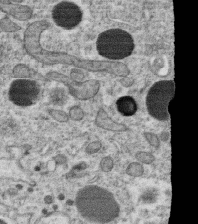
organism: C. elegans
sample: C. elegans oocyte; sperm cells